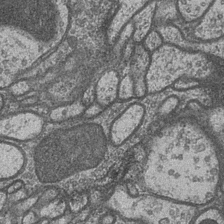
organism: Drosophila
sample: Optic medulla